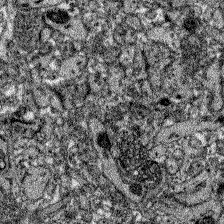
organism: Zebrafish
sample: Larval olfactory bulb